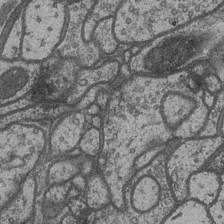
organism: Drosophila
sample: Optic medulla